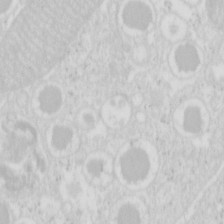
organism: Mouse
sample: Pancreas